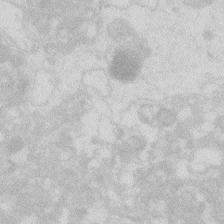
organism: Zebrafish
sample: Macrophage